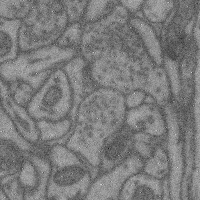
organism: Mouse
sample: Cerebral cortex